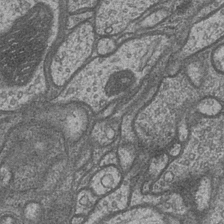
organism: Drosophila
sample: Optic medulla